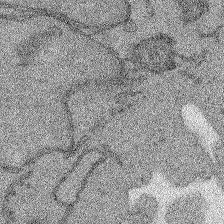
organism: Human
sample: HeLa cells